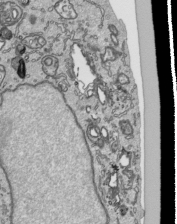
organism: Human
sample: Mitochondria in HCT116 cells